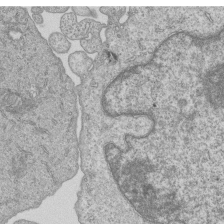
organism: Human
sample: MDA-MB-231 cells